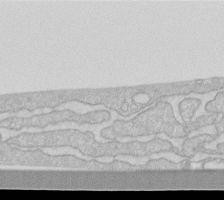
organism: Human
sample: Fibroblast cells